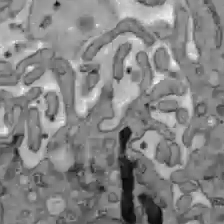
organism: C57BL Mouse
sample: Liver